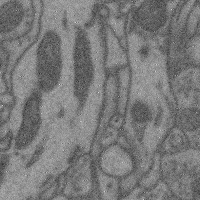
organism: Mouse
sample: Cerebral cortex